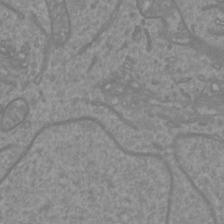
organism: Mouse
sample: Cortical neurons